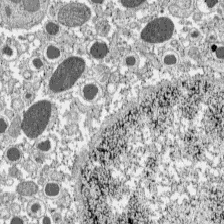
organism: C57BL Mouse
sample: Pancreatic islet